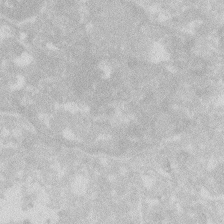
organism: Zebrafish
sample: Macrophage